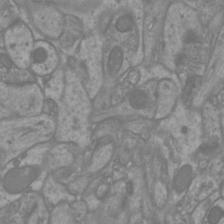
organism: Mouse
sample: Cortical neurons